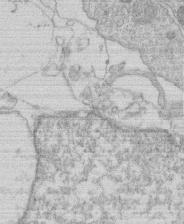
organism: Human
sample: Macrophage cells